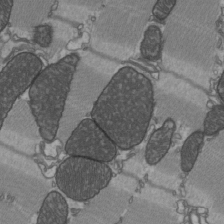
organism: C57BL Mouse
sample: Heart